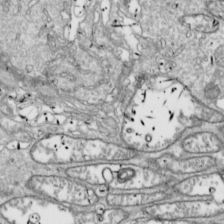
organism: Drosophila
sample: Cell division; meiosis; drosophila spermatocytes